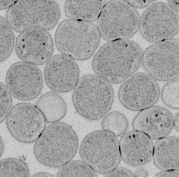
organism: E. coli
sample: Bacterial nucleoid